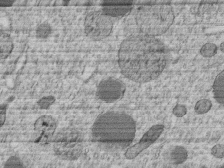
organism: C. elegans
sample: C. elegans embryo early stage